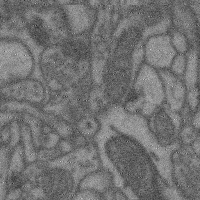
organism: Mouse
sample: Cerebral cortex